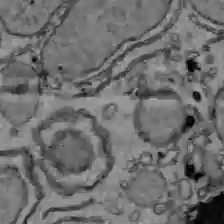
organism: C57BL Mouse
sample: Liver